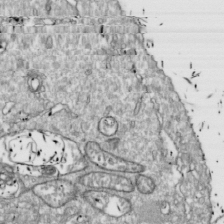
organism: Drosophila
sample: Cell division; meiosis; drosophila spermatocytes